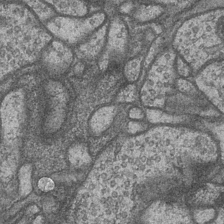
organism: Drosophila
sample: Optic medulla